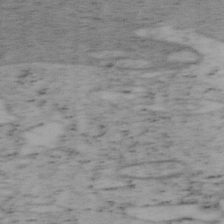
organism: Mouse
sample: OT-I killer T cells with ID8 ovarian cancer cells